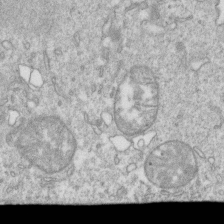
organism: Mouse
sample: Activated OT-1 CD8+ T cells